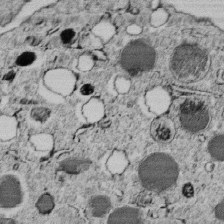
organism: C. elegans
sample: C. elegans embryo early stage